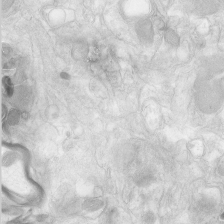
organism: Human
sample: Neocortex